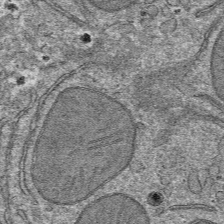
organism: Mouse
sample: Mouse hepatocytes